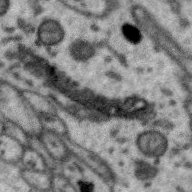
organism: Zebra finch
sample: Brain